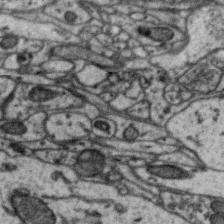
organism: Zebra finch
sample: Brain